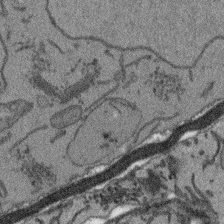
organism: Arabidopsis thaliana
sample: Root tip